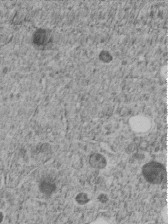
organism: C. elegans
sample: C. elegans embryo early stage